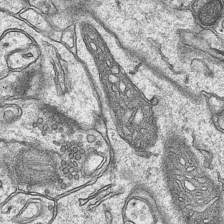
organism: Mouse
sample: CA1 Hippocampus